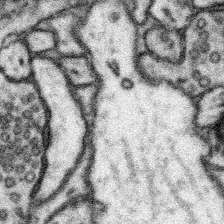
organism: Mouse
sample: Somatosensory cortex neuropil